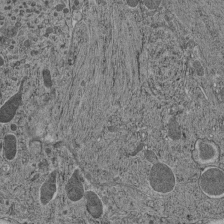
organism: C. elegans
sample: C. elegans pharynx